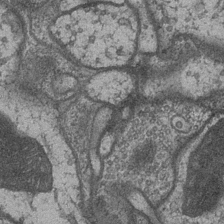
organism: Drosophila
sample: Optic medulla